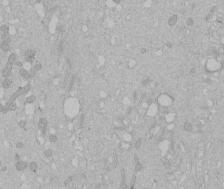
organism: Human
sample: Melanocyte Keratinocyte synapse skin construct